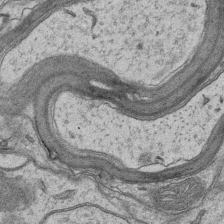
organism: Mouse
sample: CA1 Hippocampus